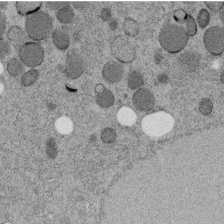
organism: C. elegans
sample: C. elegans embryo early stage